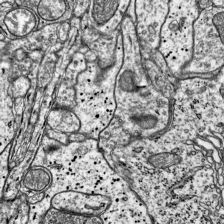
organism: Mouse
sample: Visual Cortex